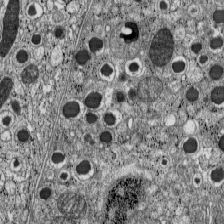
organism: C57BL Mouse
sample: Pancreatic islet